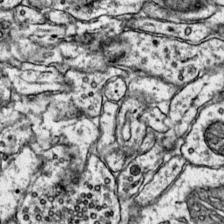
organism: Mouse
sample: Primary visual cortex